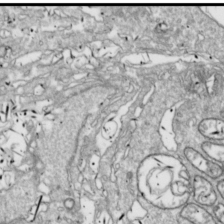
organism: Drosophila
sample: Cell division; meiosis; drosophila spermatocytes